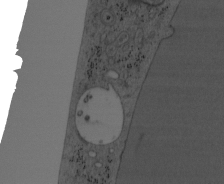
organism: Mouse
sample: OT-I killer T cells with ID8 ovarian cancer cells